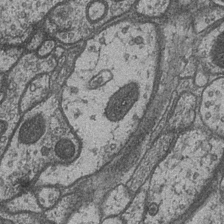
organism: Drosophila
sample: Optic medulla